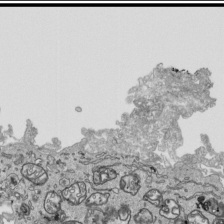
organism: Human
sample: Mitochondria in HCT116 cells